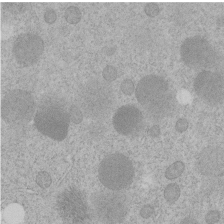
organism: C. elegans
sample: C. elegans embryo early stage